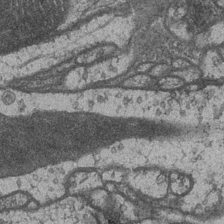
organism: Drosophila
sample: Optic medulla